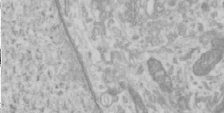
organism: Human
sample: Cilia; basal body in RPE cells